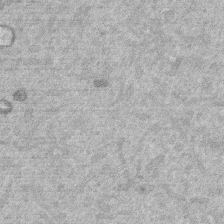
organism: Mouse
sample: Dividing mouse embryo 1 cell stage